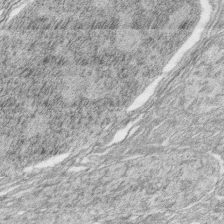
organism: Zebrafish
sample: synaptic ribbons in rod cells and cone cells